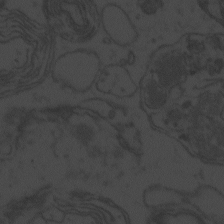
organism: Zebrafish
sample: Macrophage infected with Toxoplasma gondii